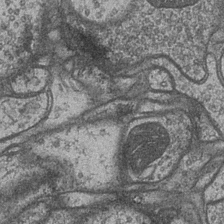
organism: Drosophila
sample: Optic medulla